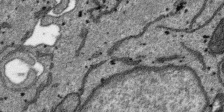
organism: Human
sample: Lung epithelial cells, uninfected (mock) control